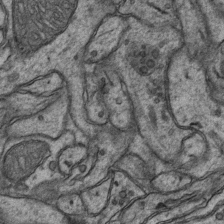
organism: Mouse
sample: CA1 Hippocampus